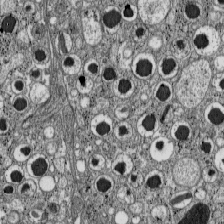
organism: C57BL Mouse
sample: Pancreatic islet